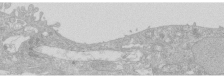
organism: Human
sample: Caco-2 cells